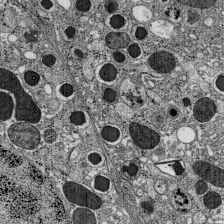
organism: C57BL Mouse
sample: Pancreatic islet